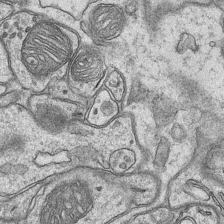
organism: Mouse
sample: CA1 Hippocampus